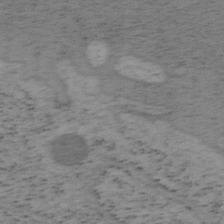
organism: Mouse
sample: OT-I killer T cells with ID8 ovarian cancer cells